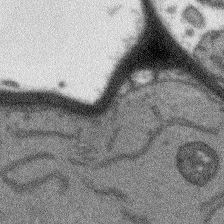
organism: Arabidopsis thaliana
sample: Root tip